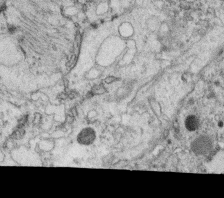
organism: C. elegans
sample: C. elegans oocyte; sperm cells